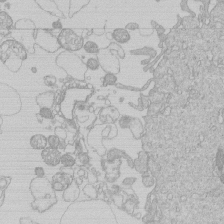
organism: Human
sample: Macrophage cells